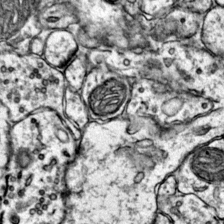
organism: Mouse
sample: Primary visual cortex